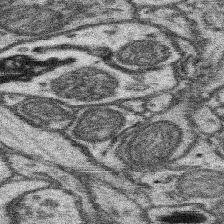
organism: Mouse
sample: Somatosensory cortex neuropil